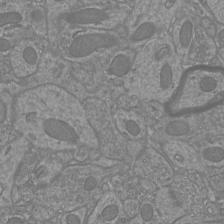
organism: Mouse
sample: Cortical neurons